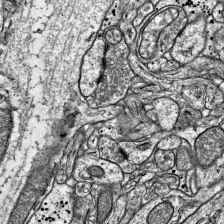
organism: Mouse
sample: Visual Cortex